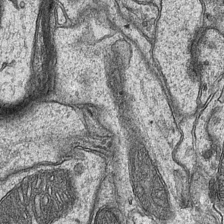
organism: Mouse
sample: CA1 Hippocampus